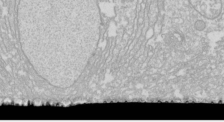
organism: Drosophila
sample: Cell division; meiosis; drosophila spermatocytes